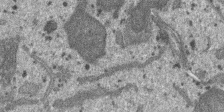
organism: Human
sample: Lung epithelial cells infected with SARS-CoV-2